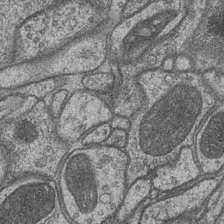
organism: Drosophila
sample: Optic medulla